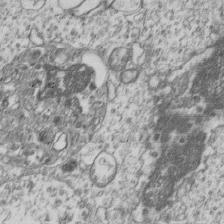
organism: Human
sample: MDA-MB-231 cells